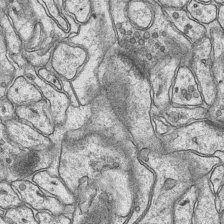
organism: Mouse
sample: CA1 Hippocampus